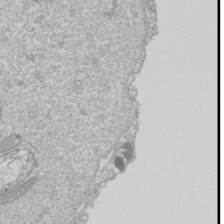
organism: Drosophila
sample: Cell division; meiosis; drosophila spermatocytes